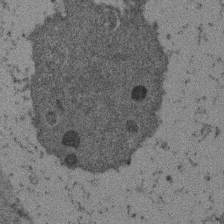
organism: Mouse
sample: Dividing mouse embryo 1 cell stage